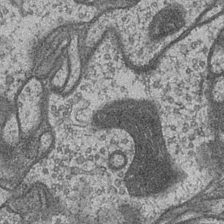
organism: Drosophila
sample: Optic medulla